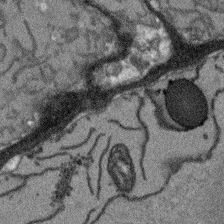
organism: Arabidopsis thaliana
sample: Root tip